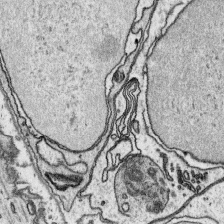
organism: Platynereis dumerilii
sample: Parapodia